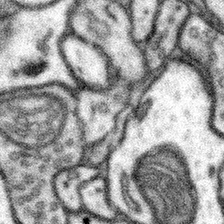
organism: Mouse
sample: Somatosensory cortex neuropil